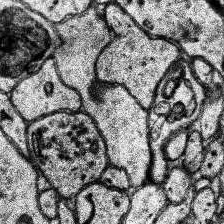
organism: Human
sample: Temporal Lobe